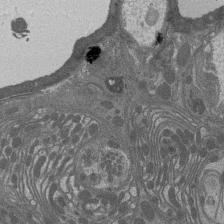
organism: Drosophila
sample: Antenna